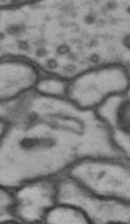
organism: Drosophila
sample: Brain